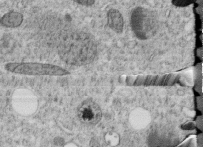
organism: C. elegans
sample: C. elegans embryo early stage